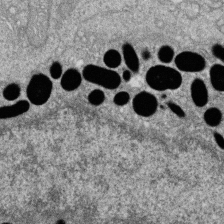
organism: Zebrafish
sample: Cilia; retinal pigment epithelium